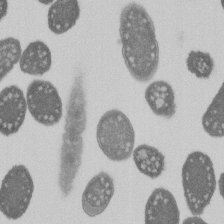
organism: E. coli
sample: Bacterial nucleoid